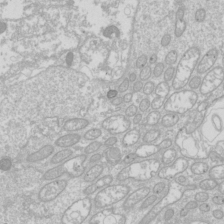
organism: Drosophila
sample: Cell division; meiosis; drosophila spermatocytes